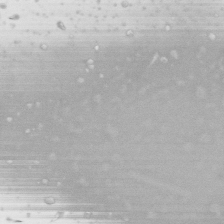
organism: Drosophila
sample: Cell division; meiosis; drosophila spermatocytes